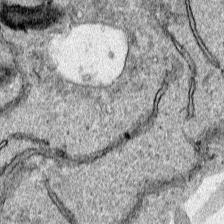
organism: Human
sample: Mitochondria in HCT116 cells